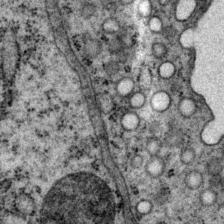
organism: P. pacificus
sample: Pharynx